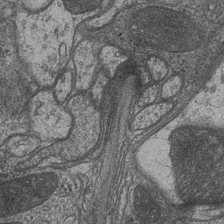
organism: Drosophila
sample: Optic medulla